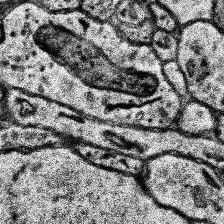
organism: Human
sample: Temporal Lobe